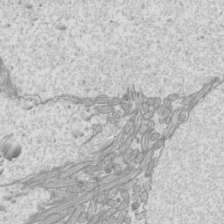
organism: Mouse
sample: Cilia; mouse epididymis